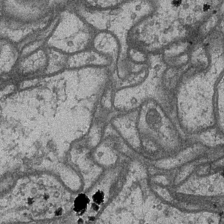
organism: Drosophila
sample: Optic medulla